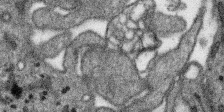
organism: Human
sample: Lung epithelial cells infected with SARS-CoV-2